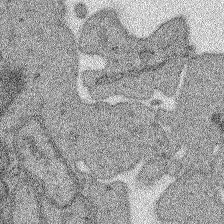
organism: Human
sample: HeLa cells